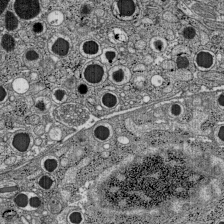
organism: C57BL Mouse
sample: Pancreatic islet